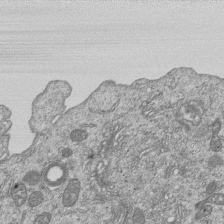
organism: Human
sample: MDA-MB-231 cells